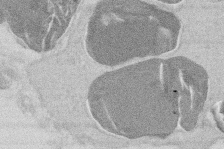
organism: Mouse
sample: T cell stromal cell synapse